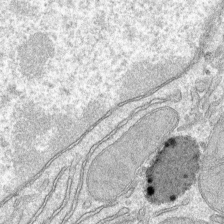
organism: Mouse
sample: Mouse hepatocytes